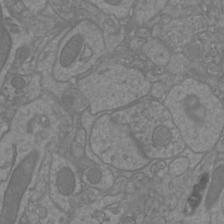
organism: Mouse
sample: Cortical neurons